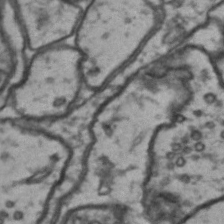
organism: Drosophila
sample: Brain